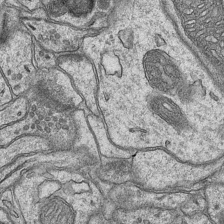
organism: Mouse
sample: CA1 Hippocampus